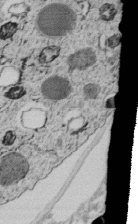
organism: C. elegans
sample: C. elegans embryo early stage